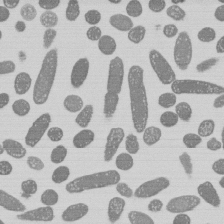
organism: E. coli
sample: Bacterial nucleoid